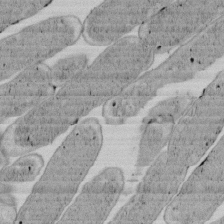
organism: E. coli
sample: Bacterial nucleoid